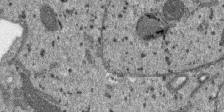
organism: Human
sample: Lung epithelial cells infected with SARS-CoV-2